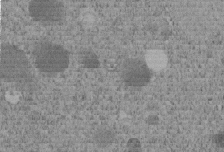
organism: C. elegans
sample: C. elegans embryo early stage